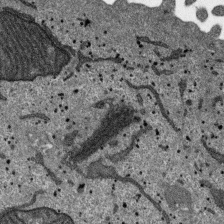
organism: Human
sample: Lung epithelial cells, uninfected (mock) control